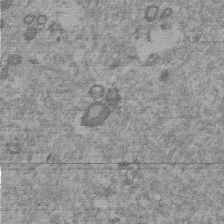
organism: Mouse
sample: Dividing mouse embryo 1 cell stage